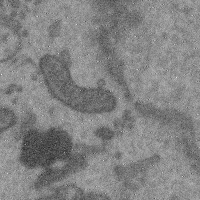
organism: Mouse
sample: Cerebral cortex